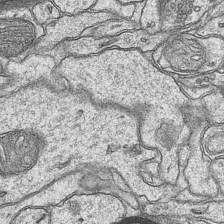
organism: Mouse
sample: CA1 Hippocampus